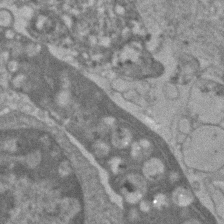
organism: Human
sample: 1205lu cells